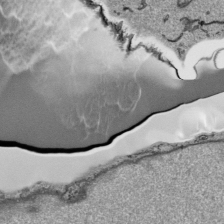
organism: Human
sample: Mitochondria in HCT116 cells